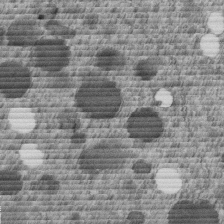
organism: C. elegans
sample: C. elegans embryo early stage